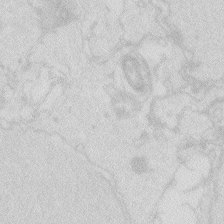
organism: Zebrafish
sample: Macrophage